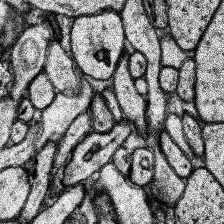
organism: Human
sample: Temporal Lobe